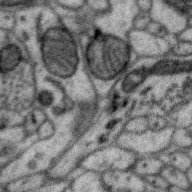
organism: Zebra finch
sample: Brain